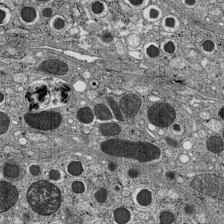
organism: C57BL Mouse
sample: Pancreatic islet